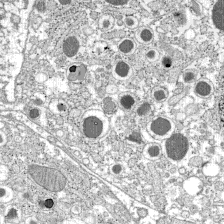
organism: C57BL Mouse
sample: Pancreatic islet